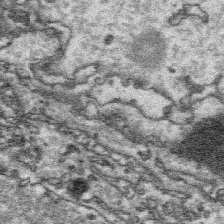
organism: Platynereis dumerilii